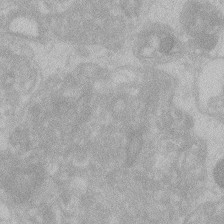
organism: Zebrafish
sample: Macrophage infected with Toxoplasma gondii